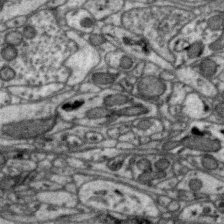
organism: Zebra finch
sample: Brain